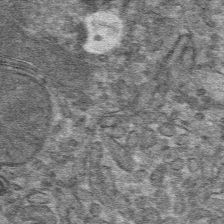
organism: Mouse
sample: Mouse hepatocytes